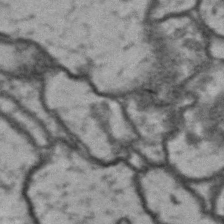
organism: Drosophila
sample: Brain